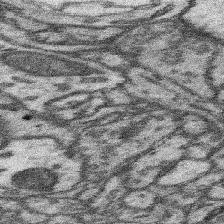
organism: Mouse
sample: Somatosensory cortex neuropil